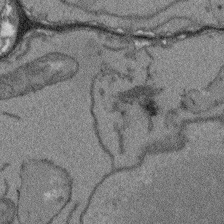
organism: Arabidopsis thaliana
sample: Root tip